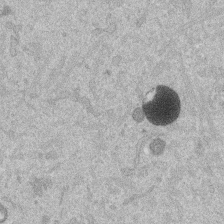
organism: Mouse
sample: Dividing mouse embryo 1 cell stage